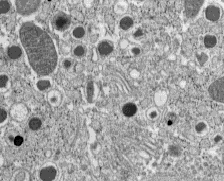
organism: C57BL Mouse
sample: Pancreatic islet